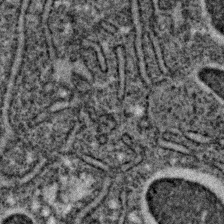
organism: C. elegans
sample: C. elegans embryo